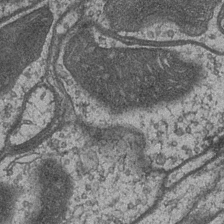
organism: Drosophila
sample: Optic medulla